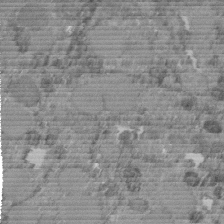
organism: C. elegans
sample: C. elegans embryo early stage